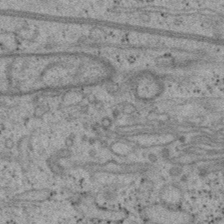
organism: Human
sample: HeLa cells